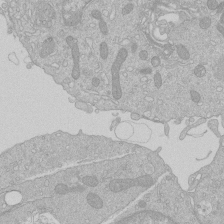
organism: Human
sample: Macrophage cells